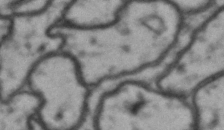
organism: Drosophila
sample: Brain